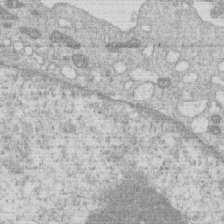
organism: Human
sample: Macrophage cells